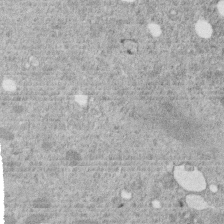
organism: C. elegans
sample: C. elegans embryo early stage